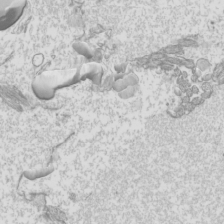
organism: Mouse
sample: Cilia; mouse epididymis